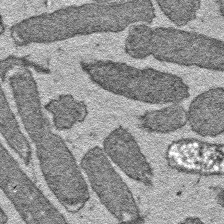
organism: E. coli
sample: E. Coli Bacteria